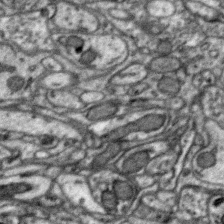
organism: Zebra finch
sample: Brain